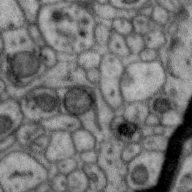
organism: Zebra finch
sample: Brain